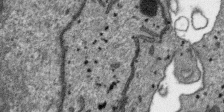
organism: Human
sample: Lung epithelial cells, uninfected (mock) control